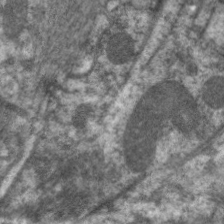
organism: C. elegans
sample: Pharynx